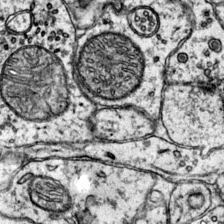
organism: Mouse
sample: Primary visual cortex